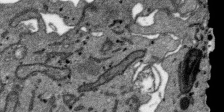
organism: Human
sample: Lung epithelial cells, uninfected (mock) control